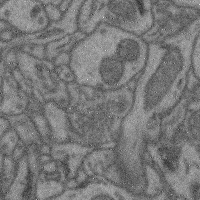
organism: Mouse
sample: Cerebral cortex